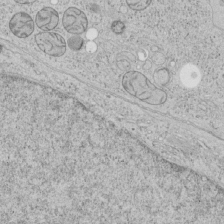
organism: Human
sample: Mitochondria in HCT116 cells